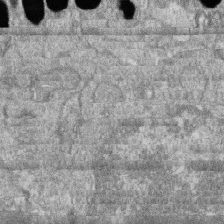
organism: Zebrafish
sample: Cilia; retinal pigment epithelium